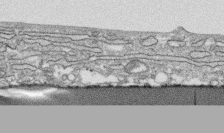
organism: Human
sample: CRL-1474